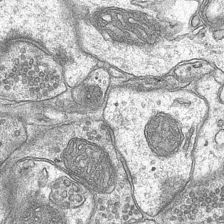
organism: Mouse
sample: CA1 Hippocampus